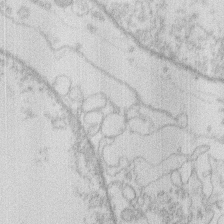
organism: Human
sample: Macrophage cells